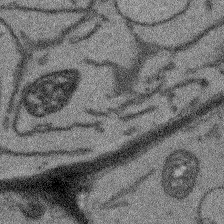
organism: Arabidopsis thaliana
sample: Root tip